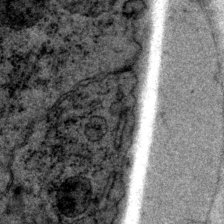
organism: P. pacificus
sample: Pharynx